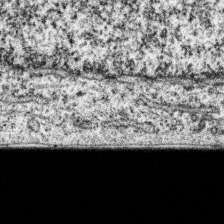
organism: Human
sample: HeLa cells